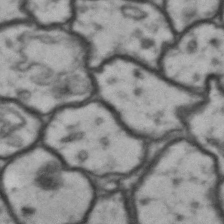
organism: Drosophila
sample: Brain